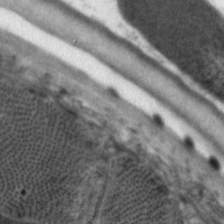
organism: C. elegans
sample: Pharynx